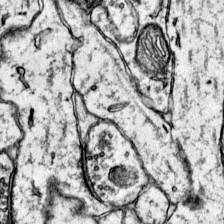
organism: Mouse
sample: Primary visual cortex